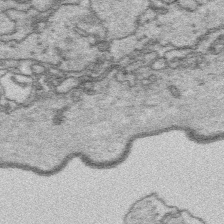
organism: Platynereis dumerilii